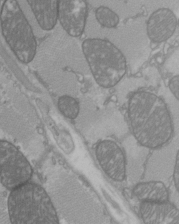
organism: C57BL Mouse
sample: Heart